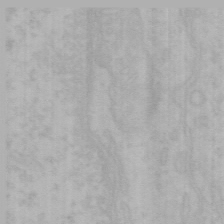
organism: Mouse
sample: Choroid plexus